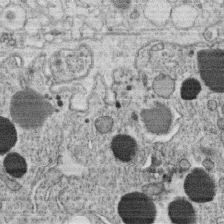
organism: C. elegans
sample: C. elegans oocyte; sperm cells